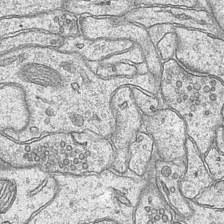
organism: Mouse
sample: CA1 Hippocampus